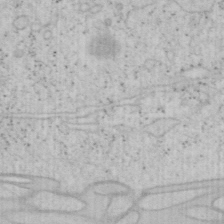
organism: Human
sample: HeLa cells